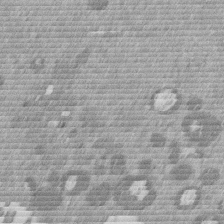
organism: Mouse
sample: Dividing mouse embryo 1 cell stage